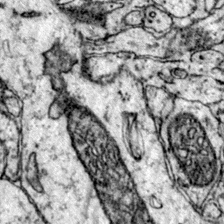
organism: Mouse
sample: Primary visual cortex